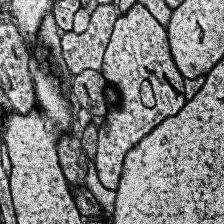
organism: Human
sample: Temporal Lobe